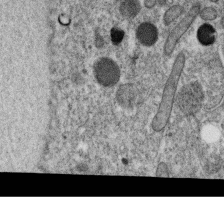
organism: C. elegans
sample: C. elegans oocyte; sperm cells